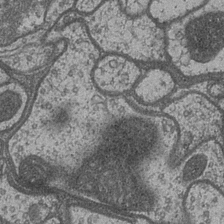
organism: Drosophila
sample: Optic medulla